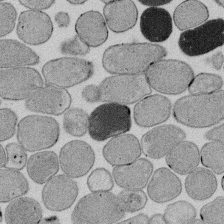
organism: E. coli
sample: Bacterial nucleoid